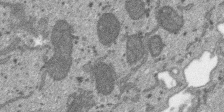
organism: Human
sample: Lung epithelial cells infected with SARS-CoV-2